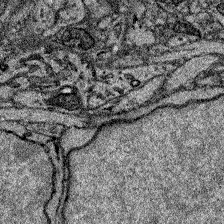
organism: Zebrafish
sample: Larval olfactory bulb